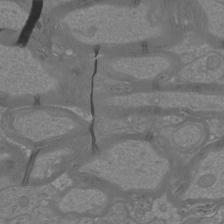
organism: Mouse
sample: Cortical neurons